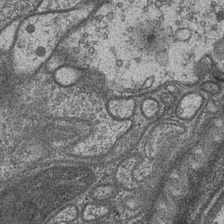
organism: Drosophila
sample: Optic medulla